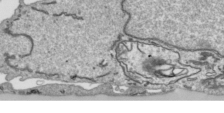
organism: Human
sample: Mitochondria in HCT116 cells